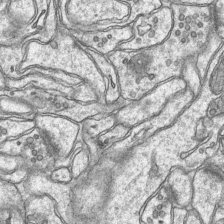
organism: Mouse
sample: CA1 Hippocampus